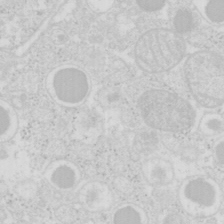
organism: Mouse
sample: Pancreas